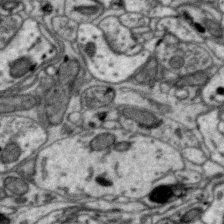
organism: Zebra finch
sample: Brain